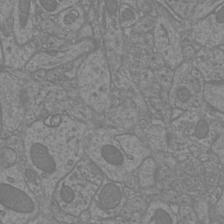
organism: Mouse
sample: Cortical neurons